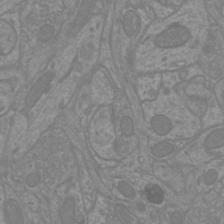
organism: Mouse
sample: Cortical neurons